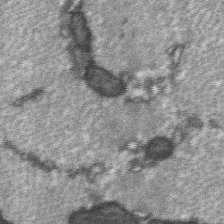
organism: C57BL Mouse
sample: Soleus